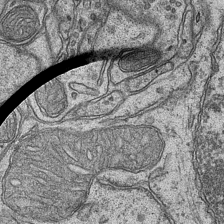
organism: Mouse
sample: CA1 Hippocampus